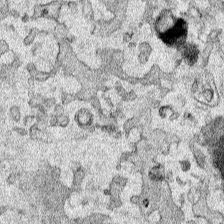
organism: Human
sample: Mitochondria in HCT116 cells